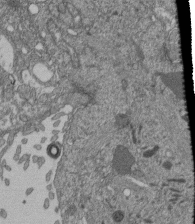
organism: Human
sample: Retinal organoid Rod and Cone cells